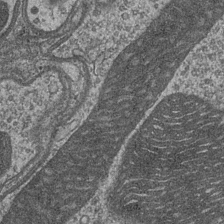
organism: Drosophila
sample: Optic medulla